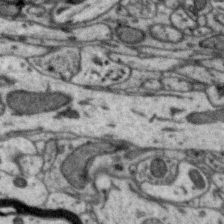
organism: Zebra finch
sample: Brain